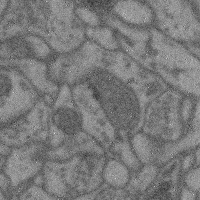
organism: Mouse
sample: Cerebral cortex